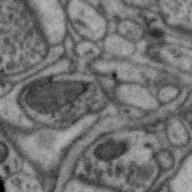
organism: Zebra finch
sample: Brain